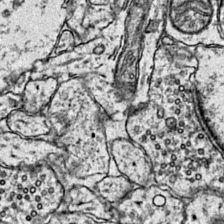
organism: Mouse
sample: Primary visual cortex